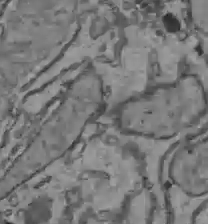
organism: C57BL Mouse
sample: Liver